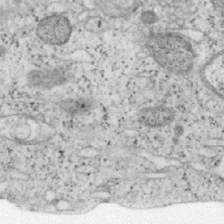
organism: Mouse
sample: OT-I killer T cells with ID8 ovarian cancer cells